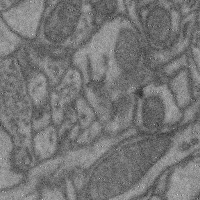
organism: Mouse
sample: Cerebral cortex